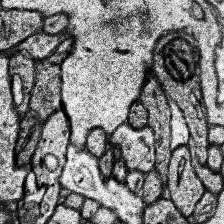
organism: Human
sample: Temporal Lobe